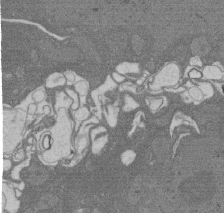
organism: Rat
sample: Salivary granule